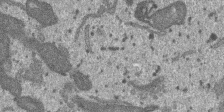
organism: Human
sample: Lung epithelial cells infected with SARS-CoV-2